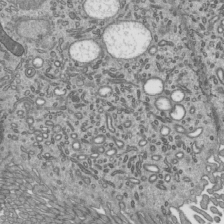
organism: Mouse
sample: Mouse epididymis efferent ductule cilia